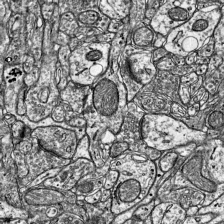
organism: Mouse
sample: Visual Cortex